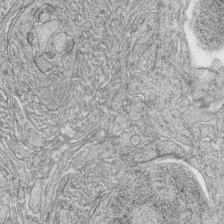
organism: Zebrafish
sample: synaptic ribbons in rod cells and cone cells